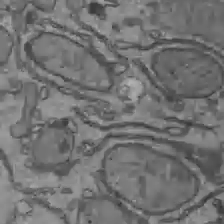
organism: C57BL Mouse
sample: Liver